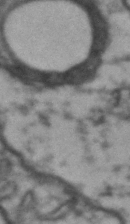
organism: Drosophila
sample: Brain